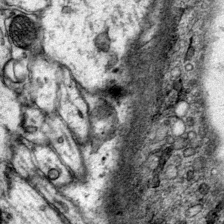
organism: Mouse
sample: Primary visual cortex